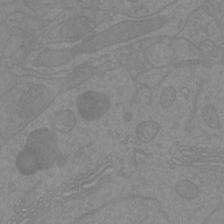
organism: Mouse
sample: Cortical neurons